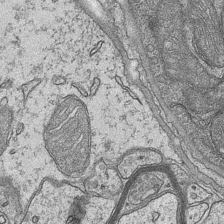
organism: Mouse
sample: CA1 Hippocampus